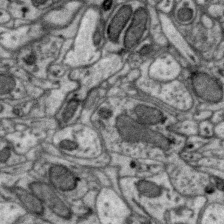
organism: Zebra finch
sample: Brain